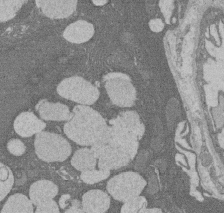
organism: Rat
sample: Salivary granule